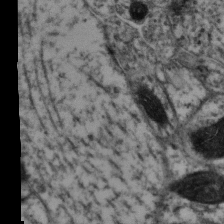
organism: Mouse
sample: Neocortex